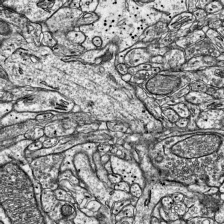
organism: Mouse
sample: Visual Cortex